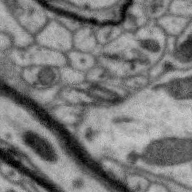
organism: Zebra finch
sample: Brain